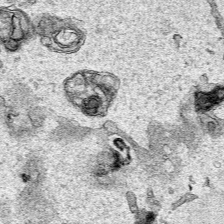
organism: Human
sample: Mitochondria in HCT116 cells